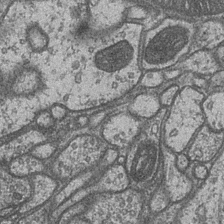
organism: Drosophila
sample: Optic medulla